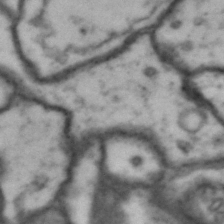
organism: Drosophila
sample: Brain